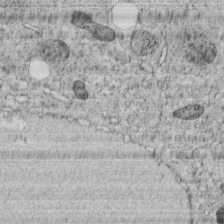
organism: C. elegans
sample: C. elegans embryo early stage